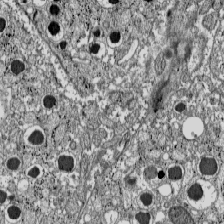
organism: C57BL Mouse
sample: Pancreatic islet